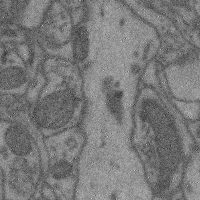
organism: Mouse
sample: Cerebral cortex